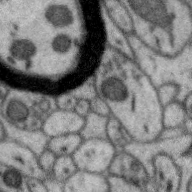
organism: Zebra finch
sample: Brain